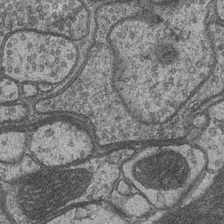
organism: Drosophila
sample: Optic medulla